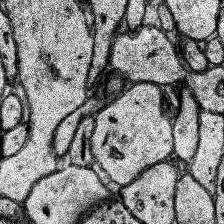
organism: Human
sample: Temporal Lobe